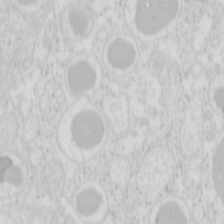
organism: Mouse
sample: Pancreas